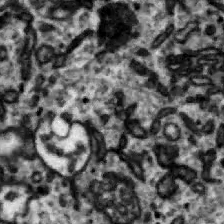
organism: Human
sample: HeLa cells